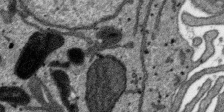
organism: Human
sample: Lung epithelial cells, uninfected (mock) control